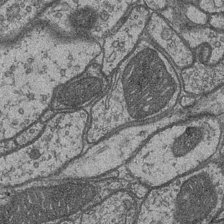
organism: Drosophila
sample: Optic medulla